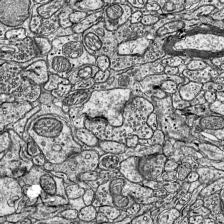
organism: Mouse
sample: Visual Cortex